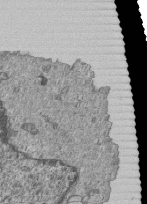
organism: Human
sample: MDA-MB-231 cells